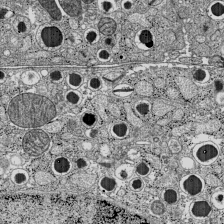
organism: C57BL Mouse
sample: Pancreatic islet